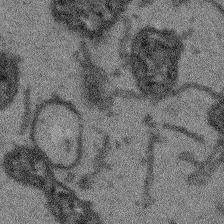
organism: Arabidopsis thaliana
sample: Root tip